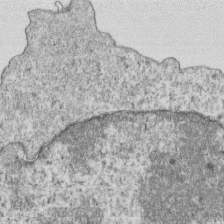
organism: Mouse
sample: Activated OT-1 CD8+ T cells